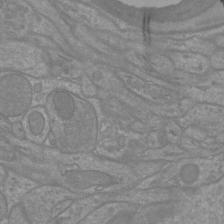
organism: Mouse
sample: Cortical neurons